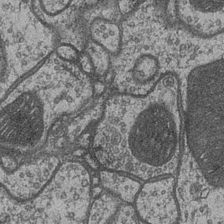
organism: Drosophila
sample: Optic medulla